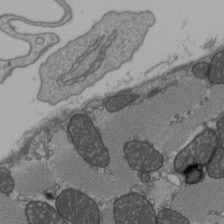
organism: C57BL Mouse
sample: Heart